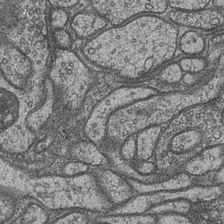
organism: Drosophila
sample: Optic medulla